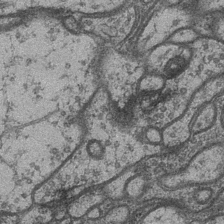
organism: Drosophila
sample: Optic medulla